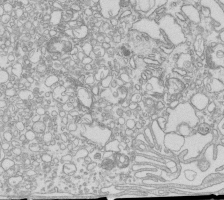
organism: Mouse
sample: Macrophages